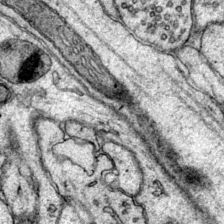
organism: Mouse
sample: Primary visual cortex